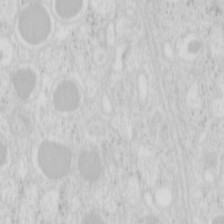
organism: Mouse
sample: Pancreas